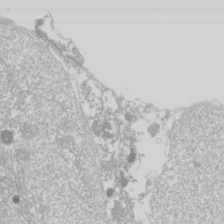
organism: Drosophila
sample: Cell division; meiosis; drosophila spermatocytes